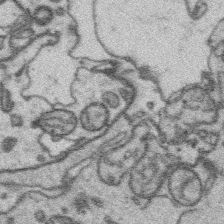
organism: Platynereis dumerilii